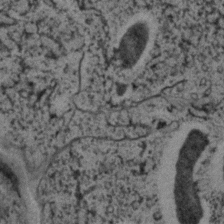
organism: C. elegans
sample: C. elegans embryo